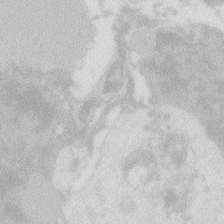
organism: Zebrafish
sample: Macrophage